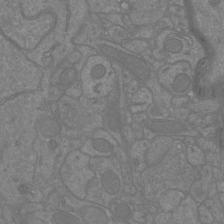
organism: Mouse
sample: Cortical neurons